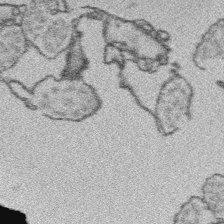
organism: Platynereis dumerilii